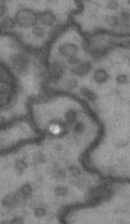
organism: Drosophila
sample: Brain